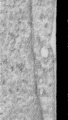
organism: Human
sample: Centriole in RPE cells